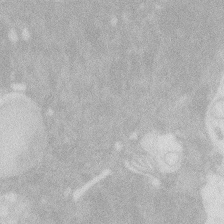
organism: Zebrafish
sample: Macrophage